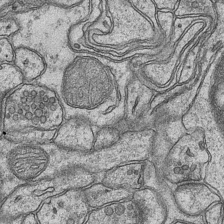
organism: Mouse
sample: CA1 Hippocampus